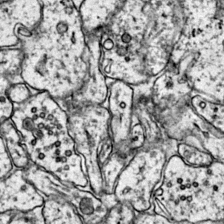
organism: Mouse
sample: Primary visual cortex